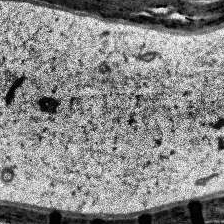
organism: Human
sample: Temporal Lobe